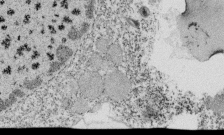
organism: Tetrahymena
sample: Cilia in tetrahymena